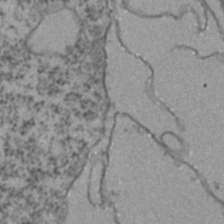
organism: Zebrafish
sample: Zebrafish embryo